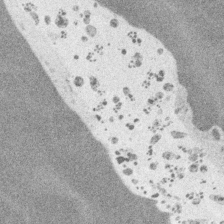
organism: Embia sp.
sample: Silk gland